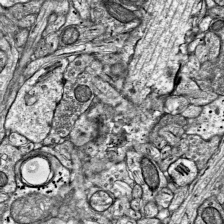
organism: Mouse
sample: Visual Cortex